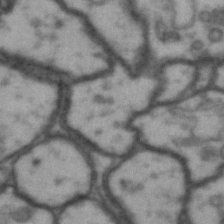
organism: Drosophila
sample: Brain